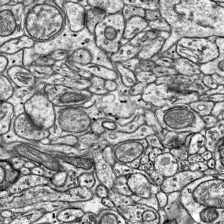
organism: Mouse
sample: Visual Cortex